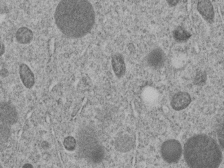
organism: C. elegans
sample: C. elegans embryo early stage